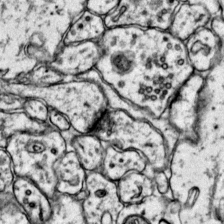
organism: Mouse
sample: Primary visual cortex